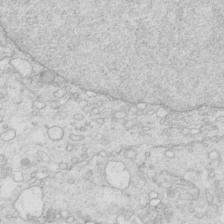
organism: Mouse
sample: Multiciliated cells